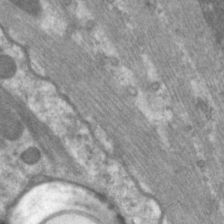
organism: C. elegans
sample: Pharynx